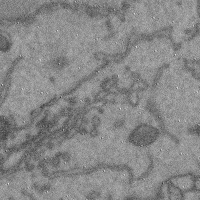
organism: Mouse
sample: Cerebral cortex